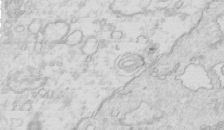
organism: Mouse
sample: Multiciliated cells